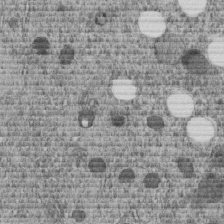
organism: C. elegans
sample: C. elegans embryo early stage